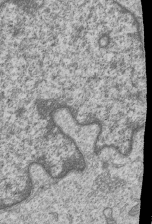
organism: Human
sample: MDA-MB-231 cells